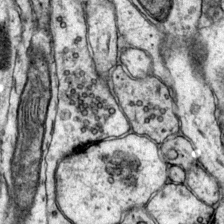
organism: Mouse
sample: Primary visual cortex